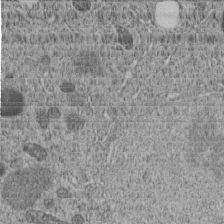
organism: C. elegans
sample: C. elegans embryo early stage